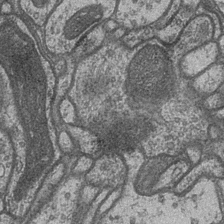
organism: Drosophila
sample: Optic medulla